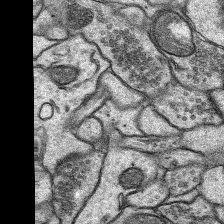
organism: Rat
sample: Hippocampus